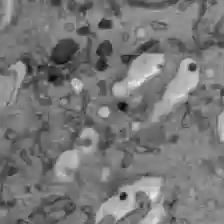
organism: C57BL Mouse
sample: Liver